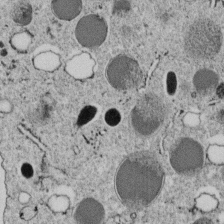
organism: C. elegans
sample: C. elegans embryo early stage